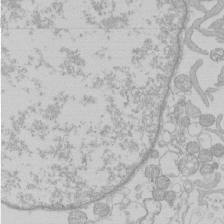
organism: Human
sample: Macrophage cells